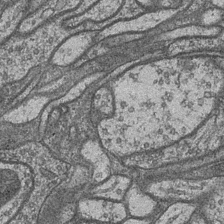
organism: Drosophila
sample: Optic medulla